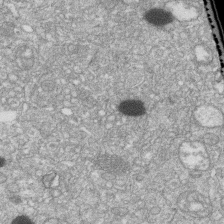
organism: Human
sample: HeLa cell HIV synapse